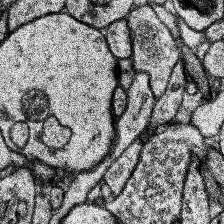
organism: Human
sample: Temporal Lobe